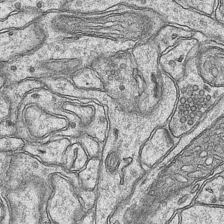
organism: Mouse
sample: CA1 Hippocampus